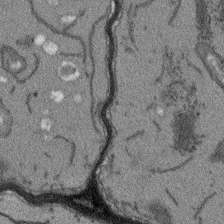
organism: Arabidopsis thaliana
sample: Root tip